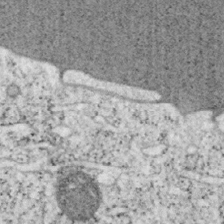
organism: Mouse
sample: OT-I killer T cells with ID8 ovarian cancer cells